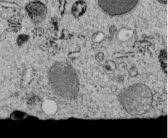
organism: C. elegans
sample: C. elegans embryo early stage